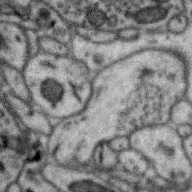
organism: Zebra finch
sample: Brain